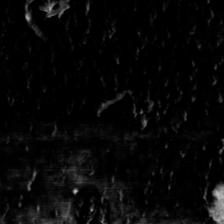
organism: Toxoplasma gondii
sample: Parasites in a vacuole inside a host cell